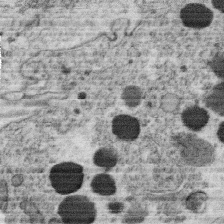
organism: C. elegans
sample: C. elegans oocyte; sperm cells